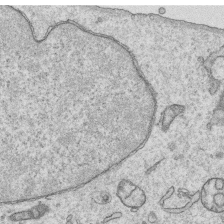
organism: Human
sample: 1205lu cells